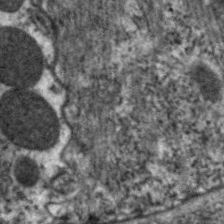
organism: C. elegans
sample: Pharynx